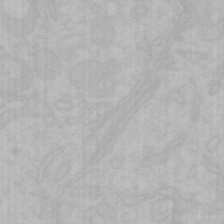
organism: Mouse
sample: Choroid plexus